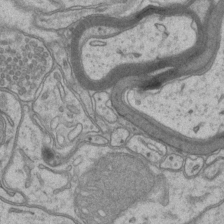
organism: Mouse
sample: CA1 Hippocampus